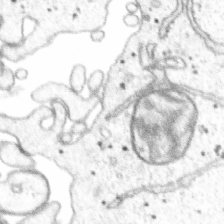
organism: Human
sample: HeLa cells